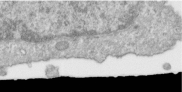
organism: Human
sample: Centriole in RPE cells